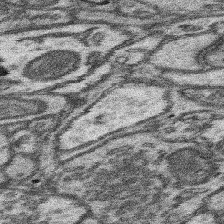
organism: Mouse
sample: Somatosensory cortex neuropil